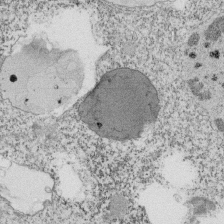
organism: Tetrahymena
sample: Cilia in tetrahymena